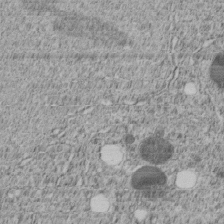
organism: C. elegans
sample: C. elegans embryo early stage